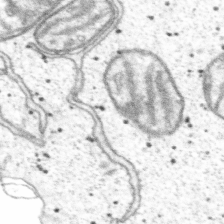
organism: Human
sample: HeLa cells